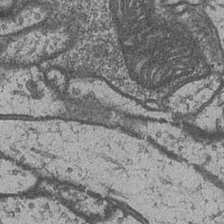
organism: Drosophila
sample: Optic medulla